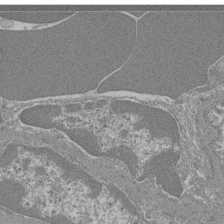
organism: Mouse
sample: Glomerulus